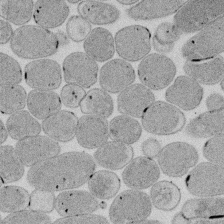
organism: E. coli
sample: Bacterial nucleoid